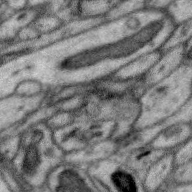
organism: Zebra finch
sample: Brain